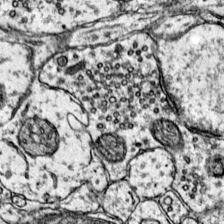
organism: Mouse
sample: Primary visual cortex